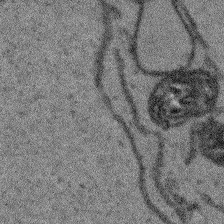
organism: Arabidopsis thaliana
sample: Root tip